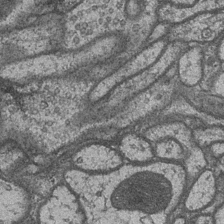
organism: Drosophila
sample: Optic medulla